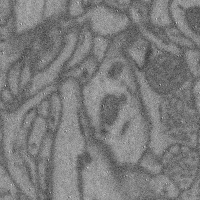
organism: Mouse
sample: Cerebral cortex